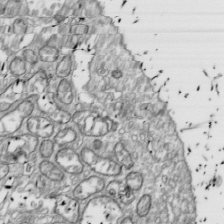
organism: Drosophila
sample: Cell division; meiosis; drosophila spermatocytes